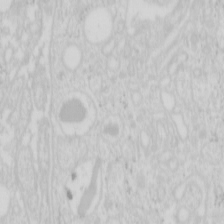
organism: Mouse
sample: Pancreas